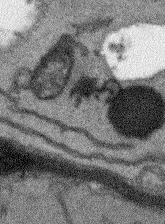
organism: Arabidopsis thaliana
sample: Root tip